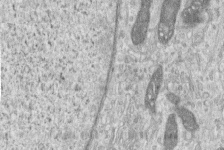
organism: Human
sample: Centriole in RPE cells